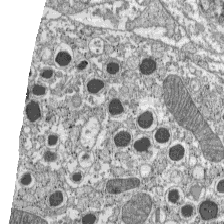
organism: C57BL Mouse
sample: Pancreatic islet